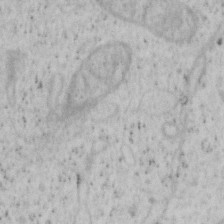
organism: Human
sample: HeLa cells